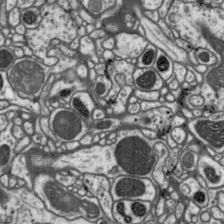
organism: Drosophila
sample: Protocerebral bridge